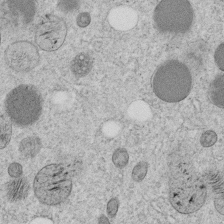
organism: C. elegans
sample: C. elegans embryo early stage